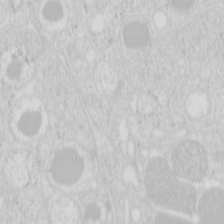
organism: Mouse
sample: Pancreas